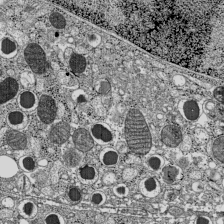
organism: C57BL Mouse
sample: Pancreatic islet